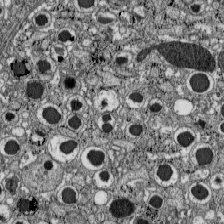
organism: C57BL Mouse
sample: Pancreatic islet